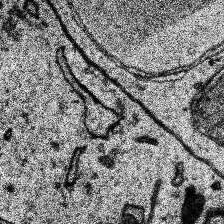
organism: Human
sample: Temporal Lobe